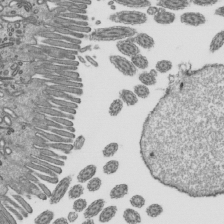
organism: Mouse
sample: Mouse epididymis efferent ductule cilia